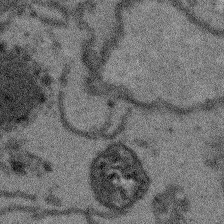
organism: Arabidopsis thaliana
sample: Root tip